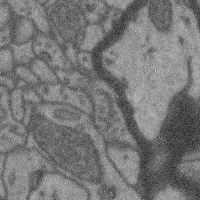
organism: Mouse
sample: Cerebral cortex